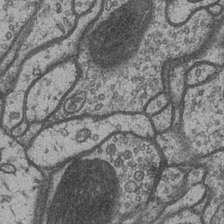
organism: Drosophila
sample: Optic medulla